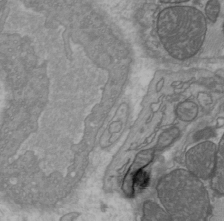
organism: C57BL Mouse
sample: Heart